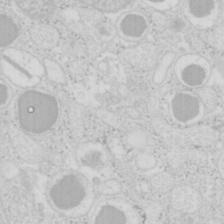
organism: Mouse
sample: Pancreas